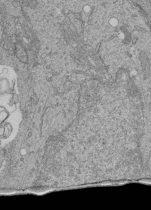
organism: Human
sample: Retinal organoid Rod and Cone cells